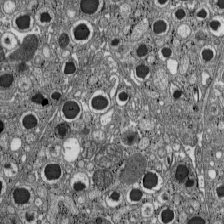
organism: C57BL Mouse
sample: Pancreatic islet